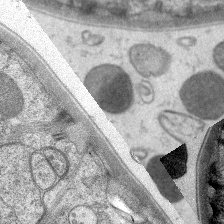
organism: C. elegans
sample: Pharynx